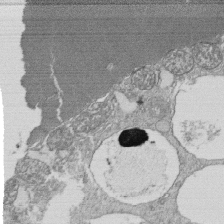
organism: Tetrahymena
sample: Cilia in tetrahymena